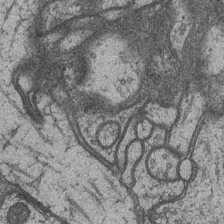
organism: Drosophila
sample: Optic medulla